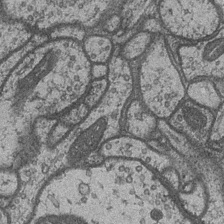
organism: Drosophila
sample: Optic medulla